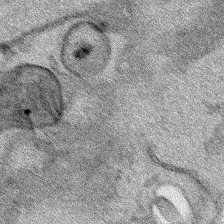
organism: Human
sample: Mitochondria in HCT116 cells